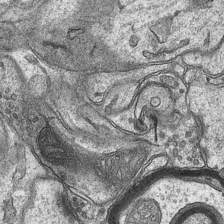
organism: Mouse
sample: CA1 Hippocampus